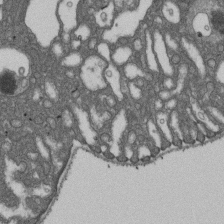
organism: Drosophila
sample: Nephrocyte